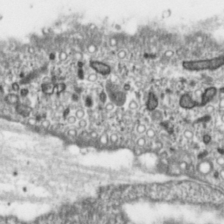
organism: Toxoplasma gondii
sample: Parasites in a vacuole inside a host cell